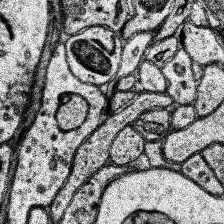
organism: Human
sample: Temporal Lobe